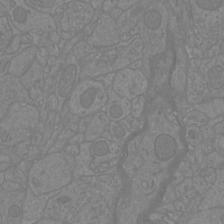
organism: Mouse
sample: Cortical neurons